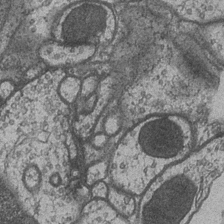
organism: Drosophila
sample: Optic medulla